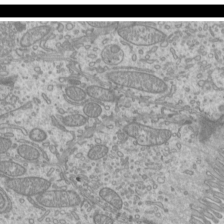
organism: Mouse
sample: Cilia; mouse epididymis